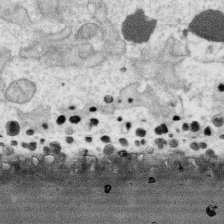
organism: Human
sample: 1205lu cells